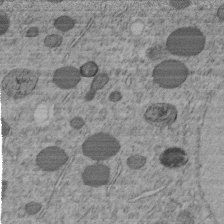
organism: C. elegans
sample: C. elegans embryo early stage